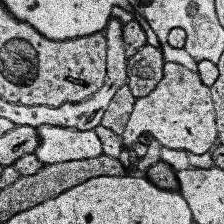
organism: Human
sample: Temporal Lobe